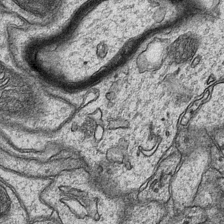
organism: Mouse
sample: CA1 Hippocampus